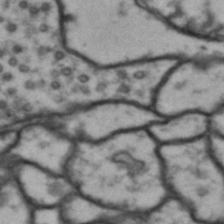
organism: Drosophila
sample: Brain